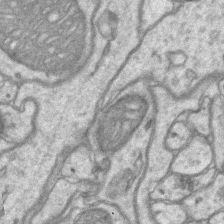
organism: Mouse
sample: CA1 Hippocampus